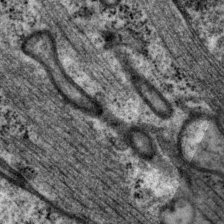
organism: P. pacificus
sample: Pharynx